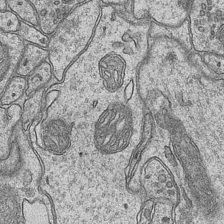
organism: Mouse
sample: CA1 Hippocampus